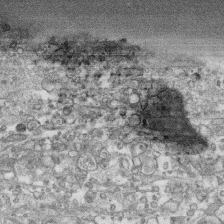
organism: Human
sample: CRL-1474